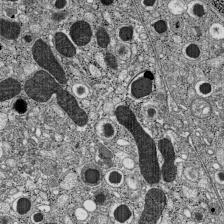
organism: C57BL Mouse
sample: Pancreatic islet